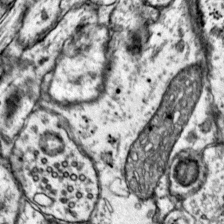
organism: Mouse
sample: Primary visual cortex